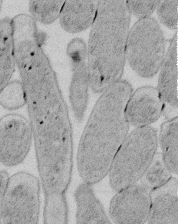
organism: E. coli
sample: Bacterial nucleoid